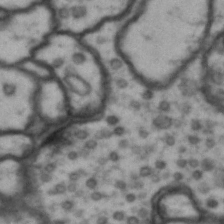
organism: Drosophila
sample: Brain